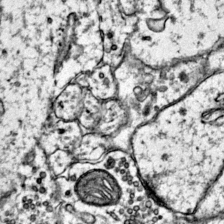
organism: Mouse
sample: Primary visual cortex